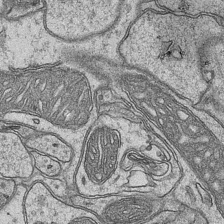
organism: Mouse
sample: CA1 Hippocampus